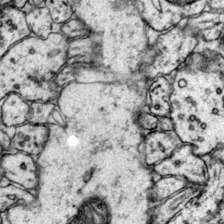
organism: Mouse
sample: Primary visual cortex